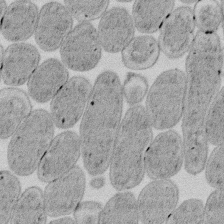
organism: E. coli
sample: Bacterial nucleoid